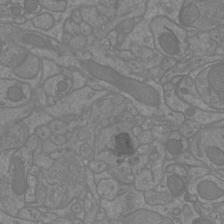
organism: Mouse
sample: Cortical neurons